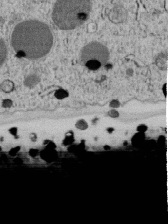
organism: C. elegans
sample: C. elegans embryo early stage